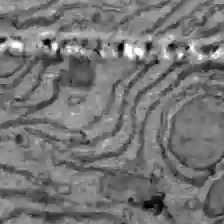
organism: C57BL Mouse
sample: Liver